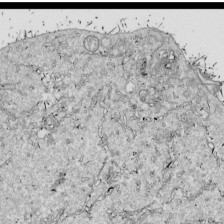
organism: Drosophila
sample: Cell division; meiosis; drosophila spermatocytes